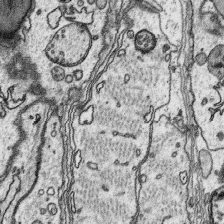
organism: Platynereis dumerilii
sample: Parapodia